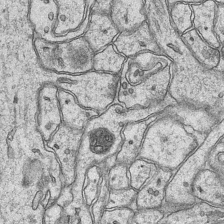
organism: Mouse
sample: CA1 Hippocampus